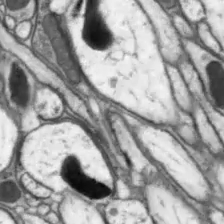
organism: Drosophila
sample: Optic lobe